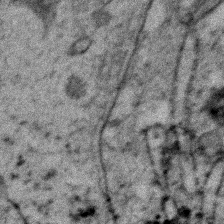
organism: Zebrafish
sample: Zebrafish embryo